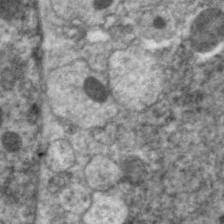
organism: C. elegans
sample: Pharynx